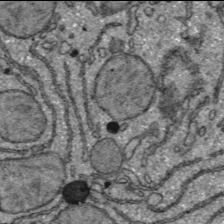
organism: C57BL Mouse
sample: Liver